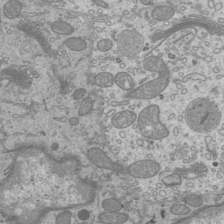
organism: Mouse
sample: Cilia; mouse epididymis